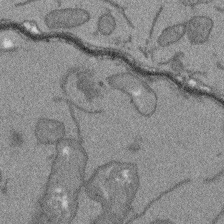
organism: Arabidopsis thaliana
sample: Root tip